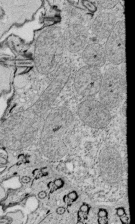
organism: Tetrahymena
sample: Cilia in tetrahymena